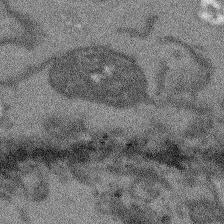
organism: Arabidopsis thaliana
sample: Root tip